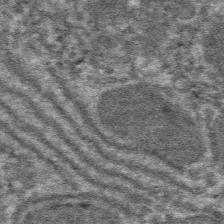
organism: Mouse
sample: Mouse hepatocytes